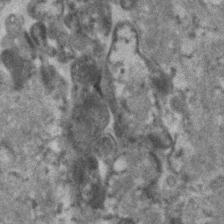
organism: Human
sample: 1205lu cells